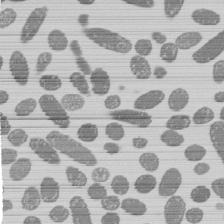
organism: E. coli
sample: Bacterial nucleoid